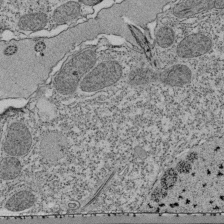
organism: Tetrahymena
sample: Cilia in tetrahymena